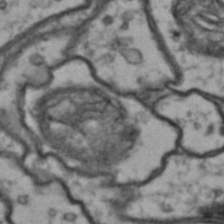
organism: Drosophila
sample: Brain